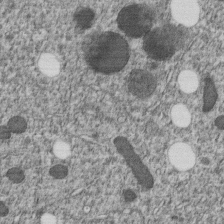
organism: C. elegans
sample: C. elegans embryo early stage